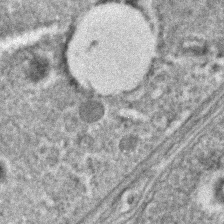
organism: C. elegans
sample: C. elegans embryo